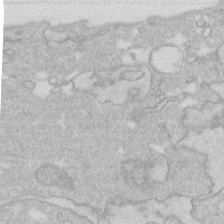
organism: Human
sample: Fibroblast cells